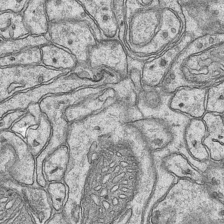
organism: Mouse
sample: CA1 Hippocampus